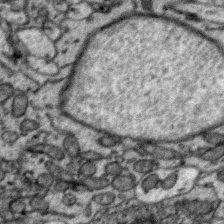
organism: Zebra finch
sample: Brain